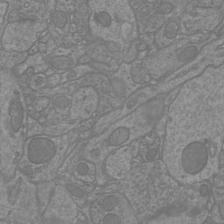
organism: Mouse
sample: Cortical neurons